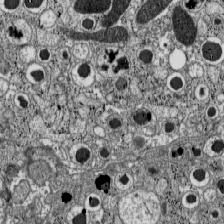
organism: C57BL Mouse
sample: Pancreatic islet